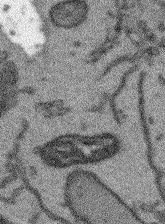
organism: Arabidopsis thaliana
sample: Root tip